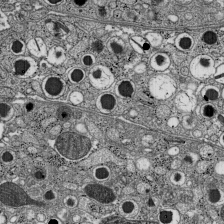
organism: C57BL Mouse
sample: Pancreatic islet